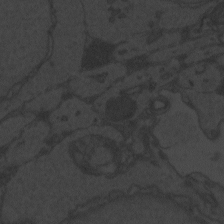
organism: Zebrafish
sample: Macrophage infected with Toxoplasma gondii